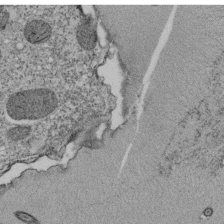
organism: Tetrahymena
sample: Cilia in tetrahymena